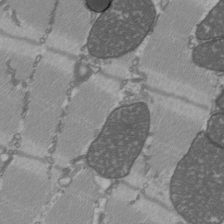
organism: C57BL Mouse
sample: Heart